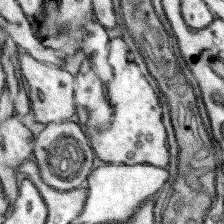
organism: Mouse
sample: Somatosensory cortex neuropil